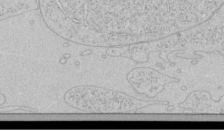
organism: Human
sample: Mitochondria in HCT116 cells